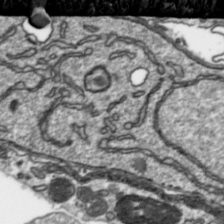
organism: Toxoplasma gondii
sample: Parasites in a vacuole inside a host cell